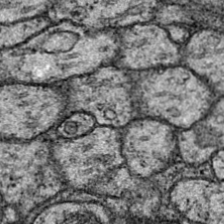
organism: Drosophila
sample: Ventral Nerve Cord